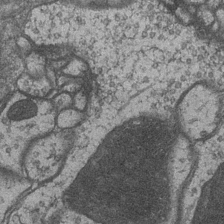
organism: Drosophila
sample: Optic medulla